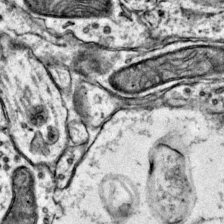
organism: Mouse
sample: Primary visual cortex